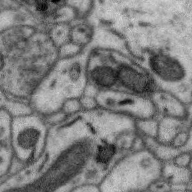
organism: Zebra finch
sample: Brain